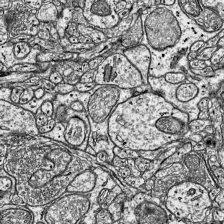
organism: Mouse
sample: Visual Cortex